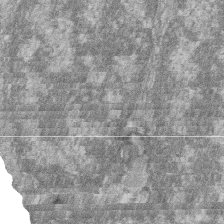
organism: Zebrafish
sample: Cilia; retinal pigment epithelium